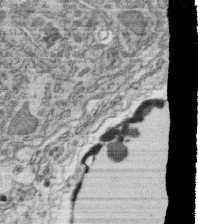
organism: C. elegans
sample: C. elegans oocyte; sperm cells